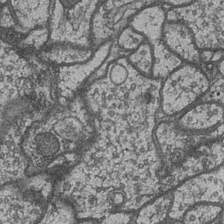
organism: Drosophila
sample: Optic medulla